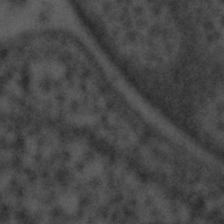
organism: Tuwongella immobilis